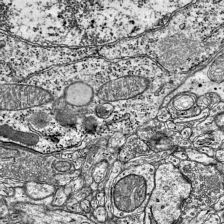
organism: Mouse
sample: Visual Cortex